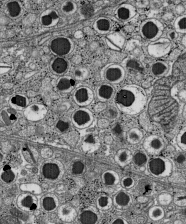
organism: C57BL Mouse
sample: Pancreatic islet